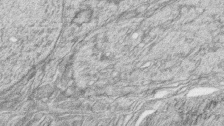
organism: Zebrafish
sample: synaptic ribbons in rod cells and cone cells